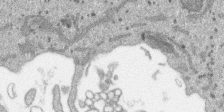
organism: Human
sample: Lung epithelial cells infected with SARS-CoV-2